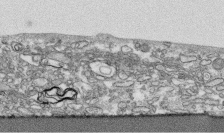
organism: Human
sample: CRL-1474